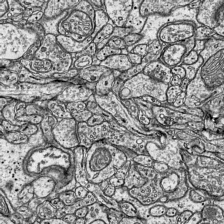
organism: Mouse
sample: Visual Cortex